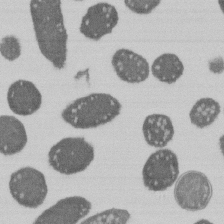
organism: E. coli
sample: Bacterial nucleoid